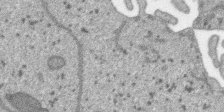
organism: Human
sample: Lung epithelial cells infected with SARS-CoV-2